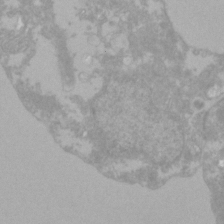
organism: Zebrafish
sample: Zebrafish embryo